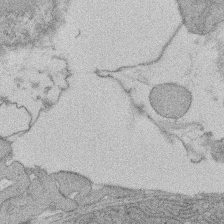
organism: Rat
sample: Salivary granule